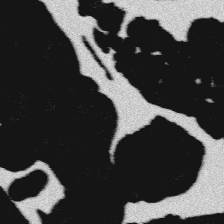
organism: Platynereis dumerilii